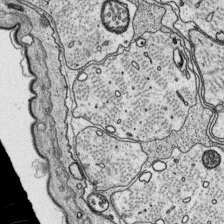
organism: Platynereis dumerilii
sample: Parapodia